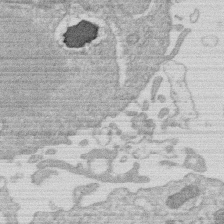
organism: Human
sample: Macrophage cells